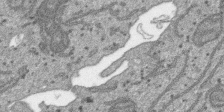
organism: Human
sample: Lung epithelial cells infected with SARS-CoV-2